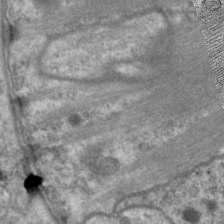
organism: C. elegans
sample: Pharynx